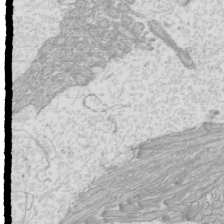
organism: Mouse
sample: Cilia; mouse epididymis